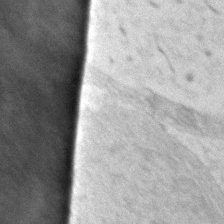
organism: Zebrafish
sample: Zebrafish embryo